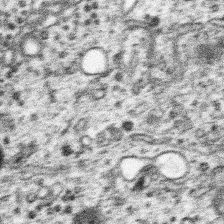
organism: Human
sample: HeLa cells